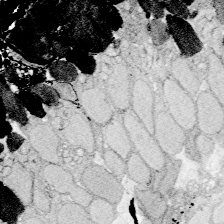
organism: Zebrafish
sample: Whole-Brain